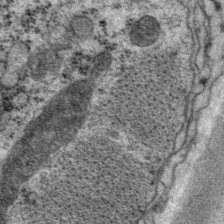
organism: P. pacificus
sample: Pharynx